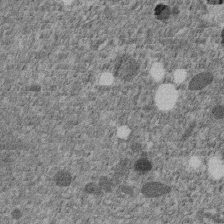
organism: C. elegans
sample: C. elegans embryo early stage